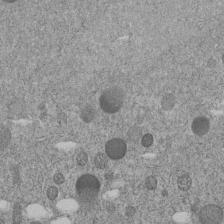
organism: C. elegans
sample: C. elegans embryo early stage